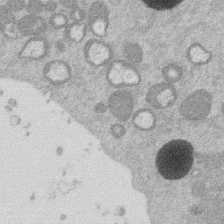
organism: Mouse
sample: Dividing mouse embryo 1 cell stage